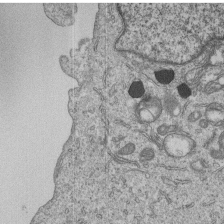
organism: Human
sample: MDA-MB-231 cells